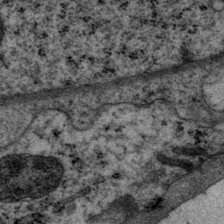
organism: P. pacificus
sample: Pharynx